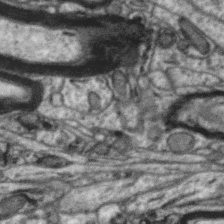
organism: Zebra finch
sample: Brain